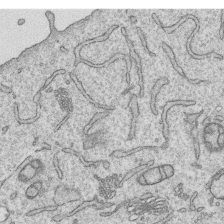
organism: Human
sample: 1205lu cells